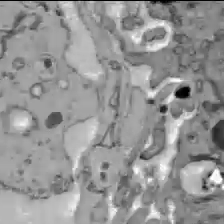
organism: C57BL Mouse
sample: Liver